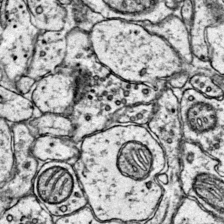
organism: Mouse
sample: Primary visual cortex